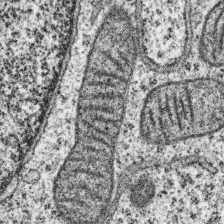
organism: Human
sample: HeLa cells